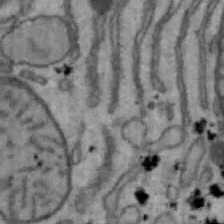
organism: Mouse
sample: Liver